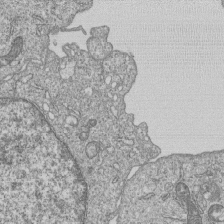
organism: Human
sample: MDA-MB-231 cells